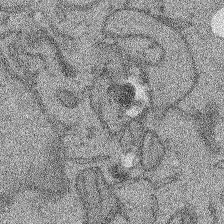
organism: Human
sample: HeLa cells